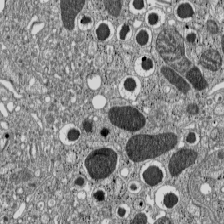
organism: C57BL Mouse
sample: Pancreatic islet